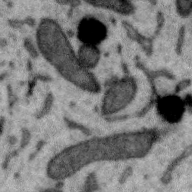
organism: Zebra finch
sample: Brain